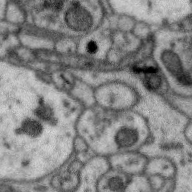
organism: Zebra finch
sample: Brain